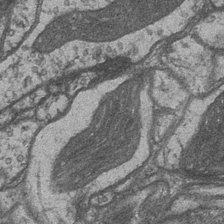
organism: Drosophila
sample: Optic medulla